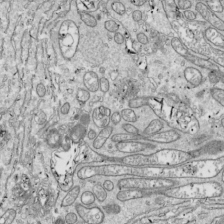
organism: Drosophila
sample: Cell division; meiosis; drosophila spermatocytes